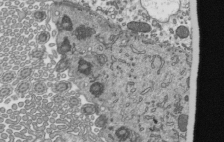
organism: Mouse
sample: Mouse epididymis efferent ductule cilia